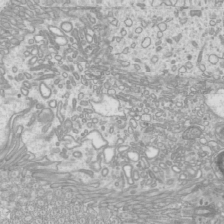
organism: Mouse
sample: Cilia; mouse epididymis